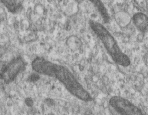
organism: Human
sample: Centriole in RPE cells